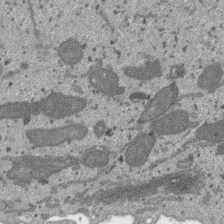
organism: Human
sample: Lung epithelial cells infected with SARS-CoV-2